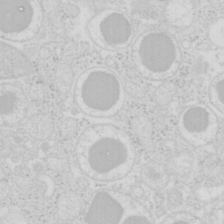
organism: Mouse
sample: Pancreas